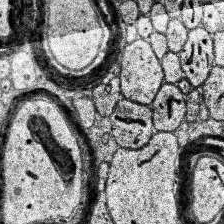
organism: Human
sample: Temporal Lobe